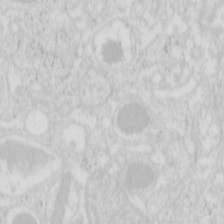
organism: Mouse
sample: Pancreas